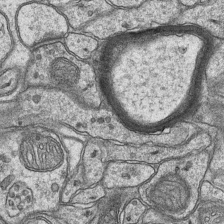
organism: Mouse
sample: CA1 Hippocampus